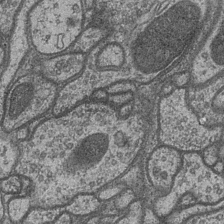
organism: Drosophila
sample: Optic medulla